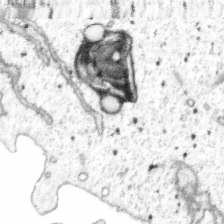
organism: Human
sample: HeLa cells